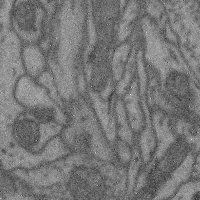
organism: Mouse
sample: Cerebral cortex